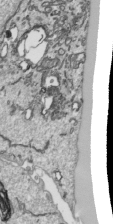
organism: Human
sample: Mitochondria in HCT116 cells